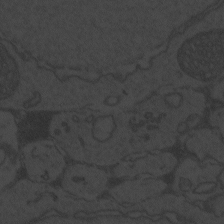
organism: Zebrafish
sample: Macrophage infected with Toxoplasma gondii